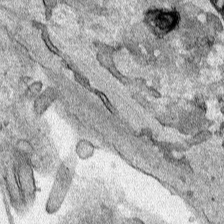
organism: Human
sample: Mitochondria in HCT116 cells